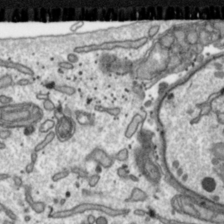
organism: Toxoplasma gondii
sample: Parasites in a vacuole inside a host cell